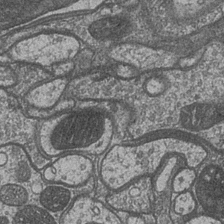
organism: Drosophila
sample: Optic medulla